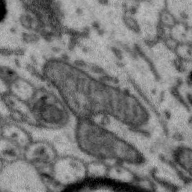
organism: Zebra finch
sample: Brain